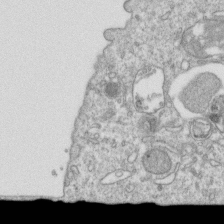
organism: Mouse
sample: Activated OT-1 CD8+ T cells